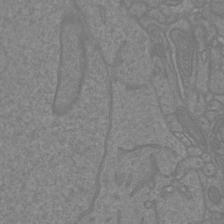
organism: Mouse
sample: Cortical neurons